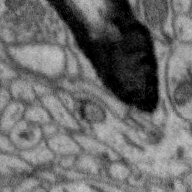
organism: Zebra finch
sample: Brain